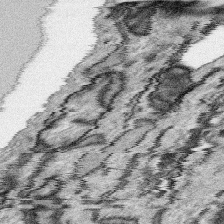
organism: Human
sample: HeLa cells